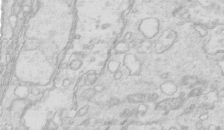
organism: Mouse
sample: Multiciliated cells